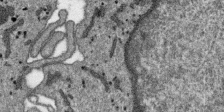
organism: Human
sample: Lung epithelial cells, uninfected (mock) control